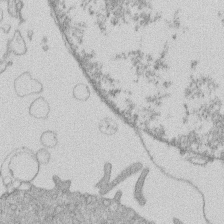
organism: Human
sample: Macrophage cells